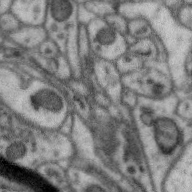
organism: Zebra finch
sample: Brain